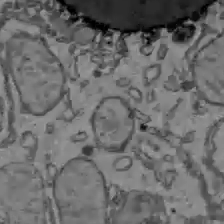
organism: C57BL Mouse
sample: Liver